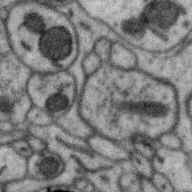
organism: Zebra finch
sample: Brain